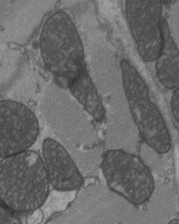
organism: C57BL Mouse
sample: Heart